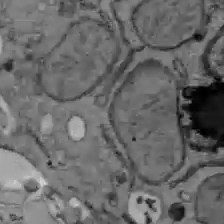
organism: C57BL Mouse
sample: Liver